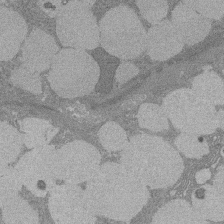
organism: Rat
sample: Salivary granule